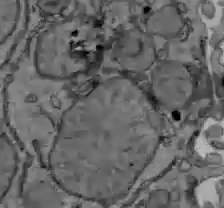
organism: C57BL Mouse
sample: Liver